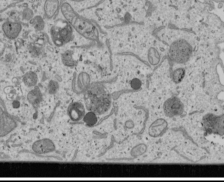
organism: Human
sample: Mitochondria in U2OS cells